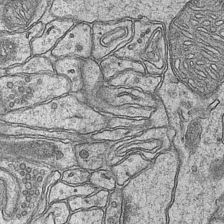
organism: Mouse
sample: CA1 Hippocampus